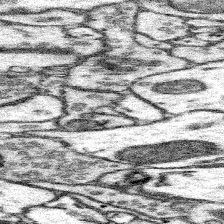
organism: Mouse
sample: Somatosensory cortex neuropil